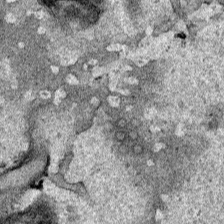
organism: Human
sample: Mitochondria in HCT116 cells